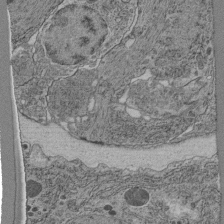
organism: C. elegans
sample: C. elegans pharynx